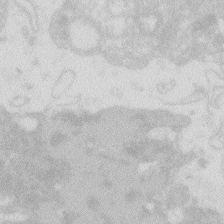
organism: Zebrafish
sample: Macrophage